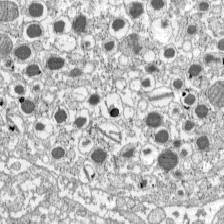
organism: C57BL Mouse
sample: Pancreatic islet